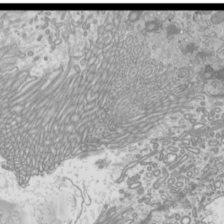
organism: Mouse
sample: Cilia; mouse epididymis